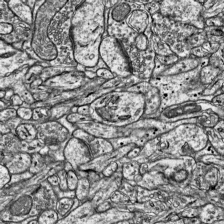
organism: Mouse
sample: Visual Cortex